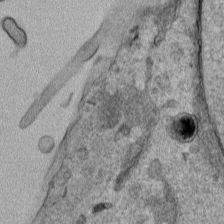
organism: Human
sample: Mitochondria in HCT116 cells